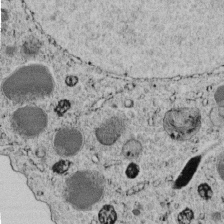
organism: C. elegans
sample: C. elegans embryo early stage